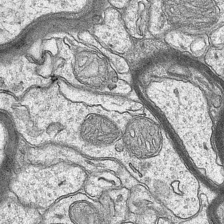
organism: Mouse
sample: CA1 Hippocampus